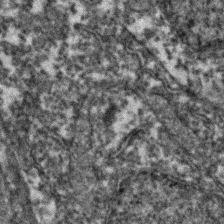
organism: Zebrafish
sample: Zebrafish embryo